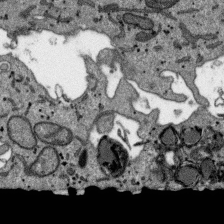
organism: Human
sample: Lung epithelial cells, uninfected (mock) control